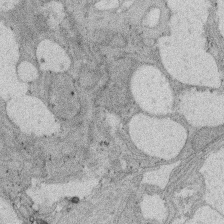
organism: Rat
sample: Salivary granule